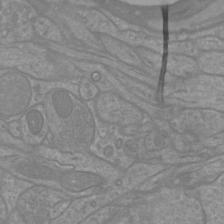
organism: Mouse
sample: Cortical neurons